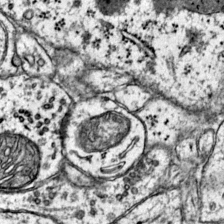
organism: Mouse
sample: Primary visual cortex